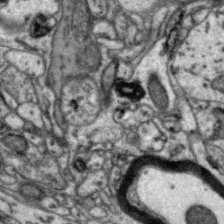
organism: Zebra finch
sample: Brain